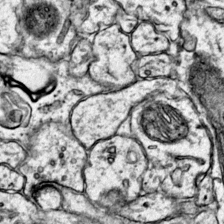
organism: Mouse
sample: Primary visual cortex